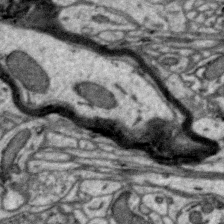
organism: Zebra finch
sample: Brain